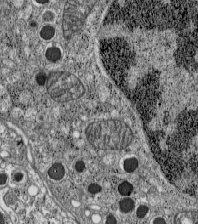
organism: C57BL Mouse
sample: Pancreatic islet